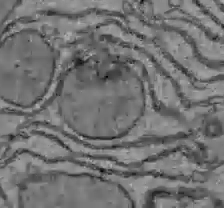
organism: C57BL Mouse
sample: Liver